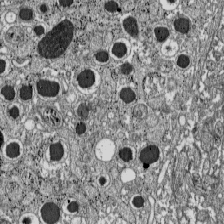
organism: C57BL Mouse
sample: Pancreatic islet